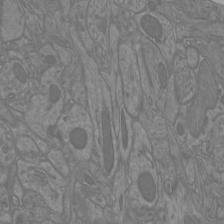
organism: Mouse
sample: Cortical neurons